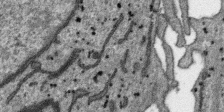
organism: Human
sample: Lung epithelial cells, uninfected (mock) control